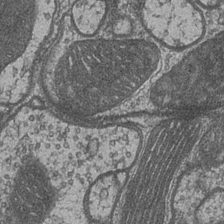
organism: Drosophila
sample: Optic medulla